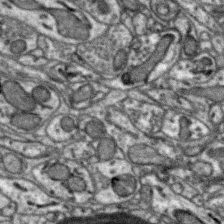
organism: Zebra finch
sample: Brain